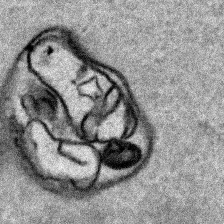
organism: Human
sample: Mitochondria in HCT116 cells